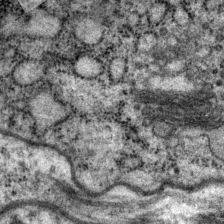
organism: P. pacificus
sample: Pharynx